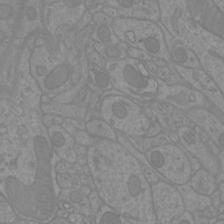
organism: Mouse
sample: Cortical neurons